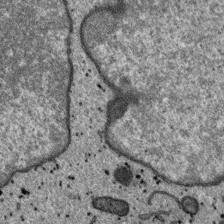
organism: Human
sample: Lung epithelial cells, uninfected (mock) control